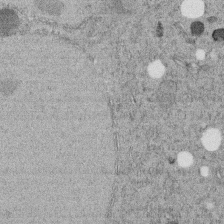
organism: C. elegans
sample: C. elegans embryo early stage